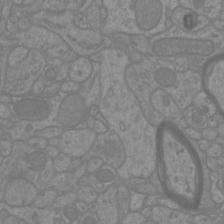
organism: Mouse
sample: Cortical neurons